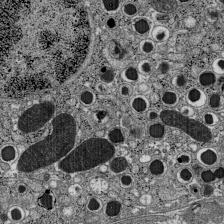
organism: C57BL Mouse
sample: Pancreatic islet